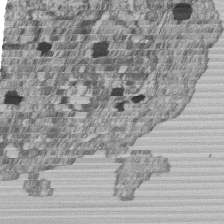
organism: Human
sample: MDA-MB-231 cells